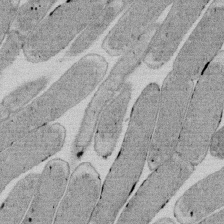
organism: E. coli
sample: Bacterial nucleoid